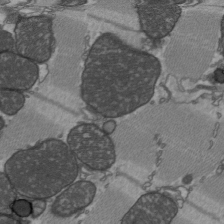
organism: C57BL Mouse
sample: Heart